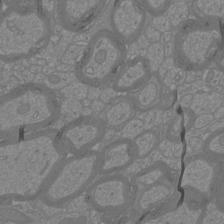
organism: Mouse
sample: Cortical neurons